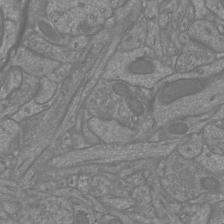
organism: Mouse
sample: Cortical neurons